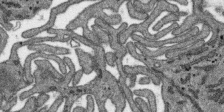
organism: Human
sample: Lung epithelial cells, uninfected (mock) control